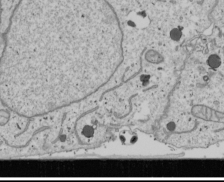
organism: Human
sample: Mitochondria in U2OS cells